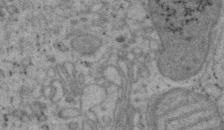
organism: Human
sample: HeLa cells